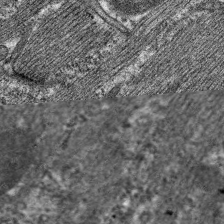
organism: C. elegans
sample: Pharynx